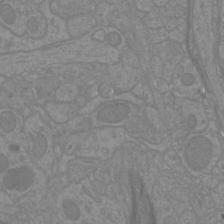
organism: Mouse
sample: Cortical neurons